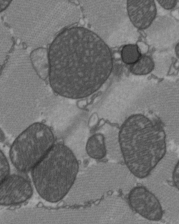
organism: C57BL Mouse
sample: Heart